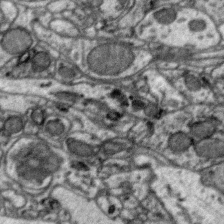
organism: Zebra finch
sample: Brain